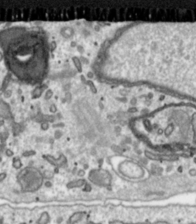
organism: Toxoplasma gondii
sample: Parasites in a vacuole inside a host cell